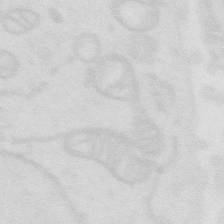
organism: Human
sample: HeLa cells